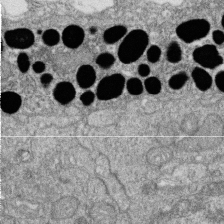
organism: Zebrafish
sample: Cilia; retinal pigment epithelium